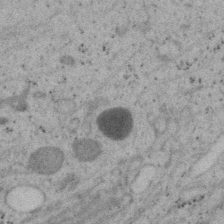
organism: Human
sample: HeLa cells